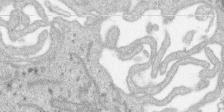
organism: Human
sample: Lung epithelial cells infected with SARS-CoV-2